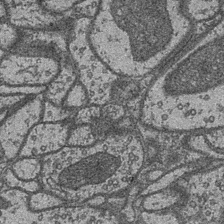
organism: Drosophila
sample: Optic medulla